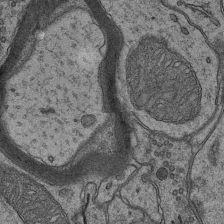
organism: Mouse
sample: CA1 Hippocampus